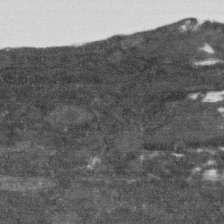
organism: Human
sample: Fibroblast cells